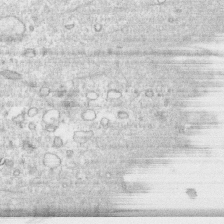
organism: Human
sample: CRL-1474